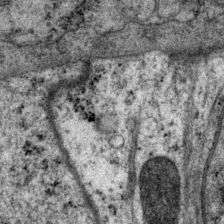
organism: P. pacificus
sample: Pharynx